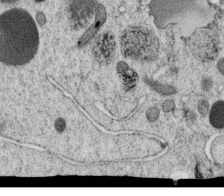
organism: C. elegans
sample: C. elegans oocyte; sperm cells